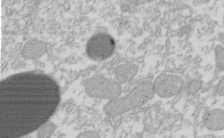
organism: Xenopus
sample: Cilia; centrioles in frog embryo cells